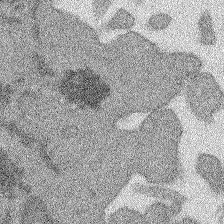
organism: Human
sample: HeLa cells